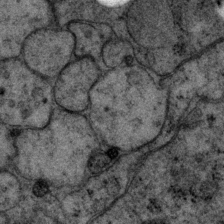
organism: P. pacificus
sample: Pharynx